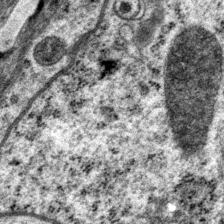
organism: P. pacificus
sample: Pharynx